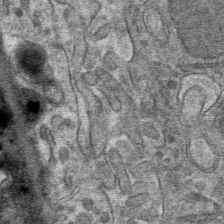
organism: Mouse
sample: Mouse hepatocytes